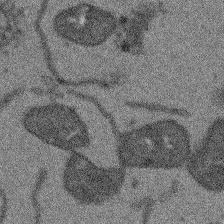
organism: Arabidopsis thaliana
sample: Root tip